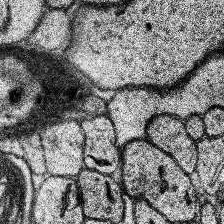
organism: Human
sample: Temporal Lobe